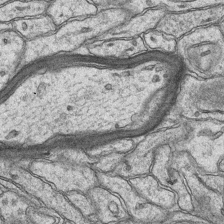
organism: Mouse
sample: CA1 Hippocampus